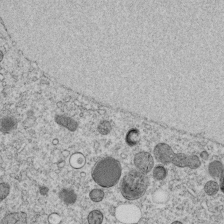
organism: C. elegans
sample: C. elegans embryo early stage